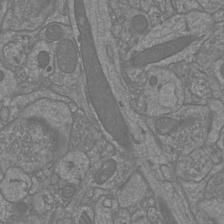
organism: Mouse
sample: Cortical neurons